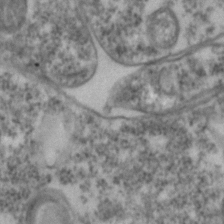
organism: Zebrafish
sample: Zebrafish embryo